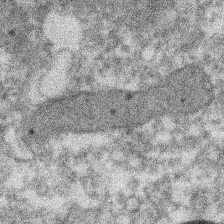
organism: Xenopus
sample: Cilia; centrioles in frog embryo cells